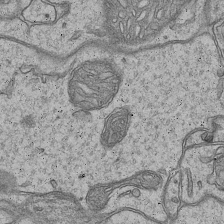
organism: Mouse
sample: CA1 Hippocampus